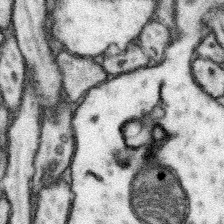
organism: Mouse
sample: Somatosensory cortex neuropil